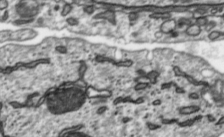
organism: Toxoplasma gondii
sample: Parasites in a vacuole inside a host cell